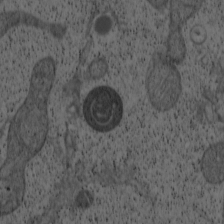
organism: African green monkey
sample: COS-7 cells